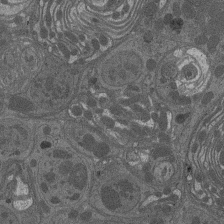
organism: Drosophila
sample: Antenna